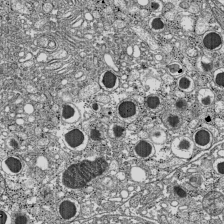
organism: C57BL Mouse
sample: Pancreatic islet